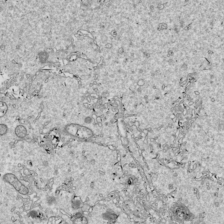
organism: Drosophila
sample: Cell division; meiosis; drosophila spermatocytes